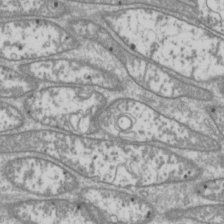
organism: Drosophila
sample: Cell division; meiosis; drosophila spermatocytes